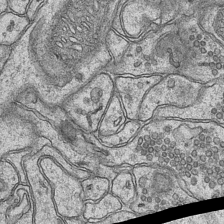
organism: Mouse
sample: CA1 Hippocampus